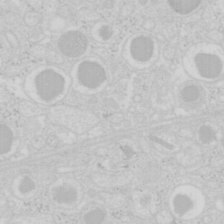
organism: Mouse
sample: Pancreas